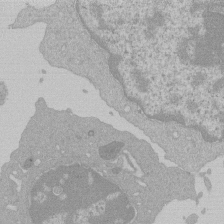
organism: Mouse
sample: Activated Pmel transgenic CD8+ T Cells